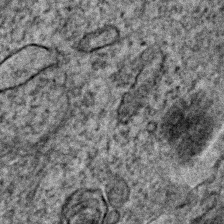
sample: Trachea